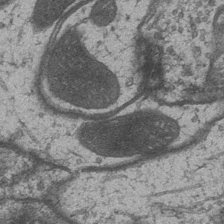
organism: Drosophila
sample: Optic medulla